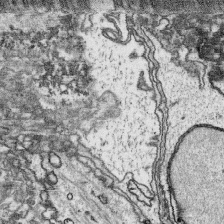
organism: Platynereis dumerilii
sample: Parapodia